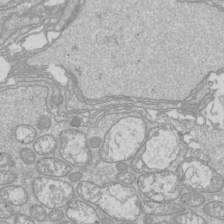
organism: Drosophila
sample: Cell division; meiosis; drosophila spermatocytes